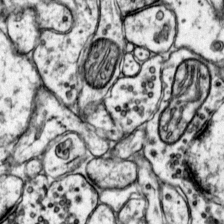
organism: Mouse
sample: Primary visual cortex